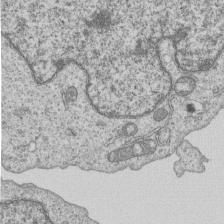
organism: Human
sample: MDA-MB-231 cells